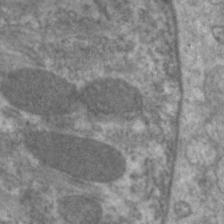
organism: C. elegans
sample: Pharynx